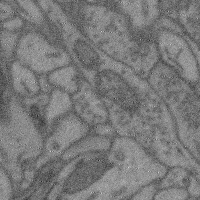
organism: Mouse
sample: Cerebral cortex